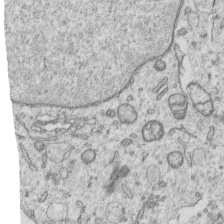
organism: Human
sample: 1205lu cells